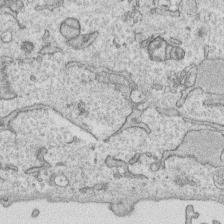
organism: Human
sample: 1205lu cells